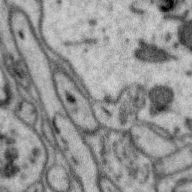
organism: Zebra finch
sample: Brain